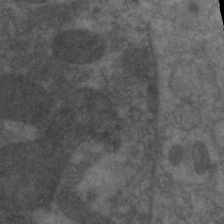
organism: C. elegans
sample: Pharynx